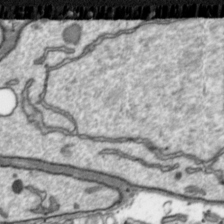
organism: Toxoplasma gondii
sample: Parasites in a vacuole inside a host cell